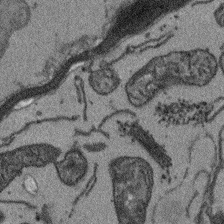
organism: Arabidopsis thaliana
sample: Root tip